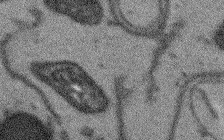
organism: Arabidopsis thaliana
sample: Root tip